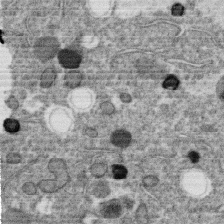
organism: C. elegans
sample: C. elegans oocyte; sperm cells